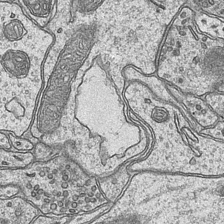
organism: Mouse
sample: CA1 Hippocampus